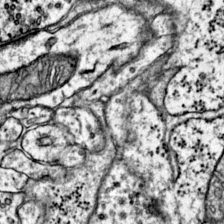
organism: Mouse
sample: Primary visual cortex